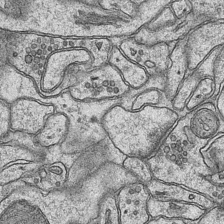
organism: Mouse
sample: CA1 Hippocampus